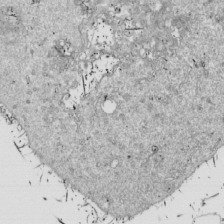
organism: Drosophila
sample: Cell division; meiosis; drosophila spermatocytes